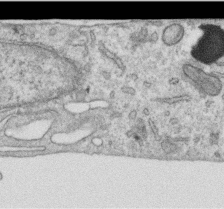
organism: Human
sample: Centriole in RPE cells